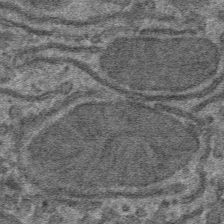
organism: Mouse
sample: Mouse hepatocytes